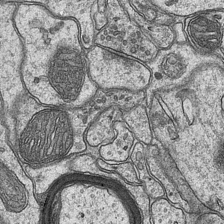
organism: Mouse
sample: CA1 Hippocampus